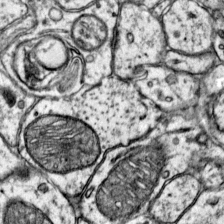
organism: Mouse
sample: Primary visual cortex